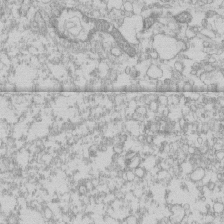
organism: Human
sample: CRL-1474